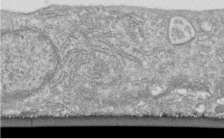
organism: Human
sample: Centriole in fibroblast cells